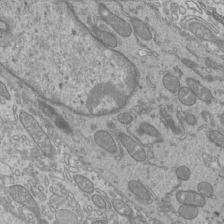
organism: Mouse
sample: Cilia; mouse epididymis